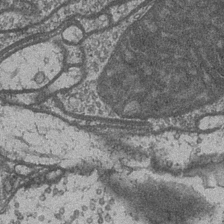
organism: Drosophila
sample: Optic medulla